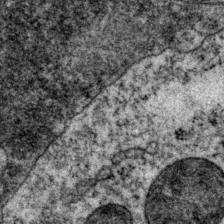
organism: P. pacificus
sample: Pharynx